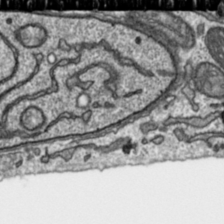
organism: Toxoplasma gondii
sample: Parasites in a vacuole inside a host cell